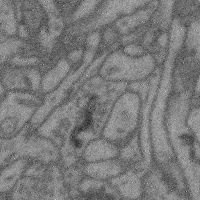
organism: Mouse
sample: Cerebral cortex